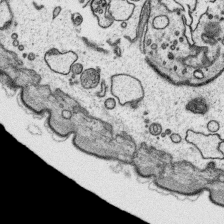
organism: Platynereis dumerilii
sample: Parapodia